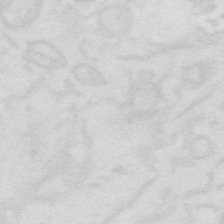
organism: Human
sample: HeLa cells